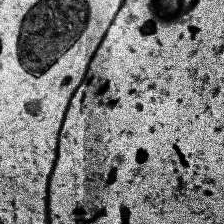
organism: Human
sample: Temporal Lobe